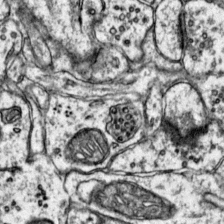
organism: Mouse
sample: Primary visual cortex